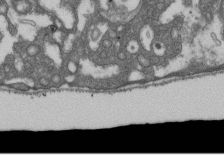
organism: Drosophila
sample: Nephrocyte